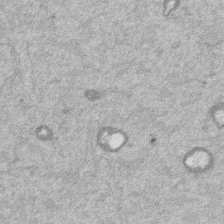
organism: Mouse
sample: Dividing mouse embryo 1 cell stage